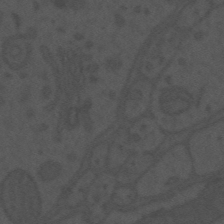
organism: Mouse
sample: Suprachiasmatic nucleus